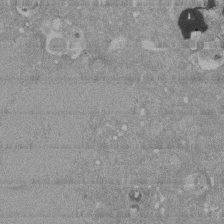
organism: Mouse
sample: ED-1 cell nuclei; centrioles